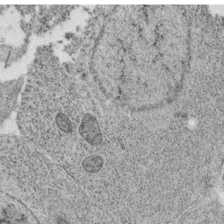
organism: C. elegans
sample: C. elegans oocyte; sperm cells